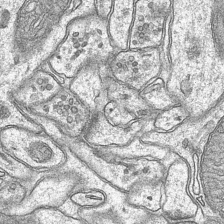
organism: Mouse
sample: CA1 Hippocampus